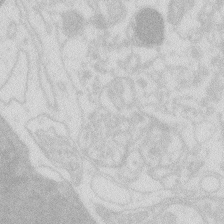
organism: Zebrafish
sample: Macrophage